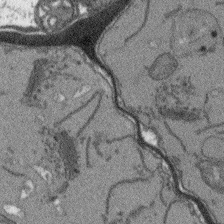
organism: Arabidopsis thaliana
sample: Root tip